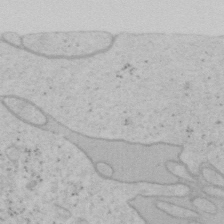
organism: Human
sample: HeLa cells